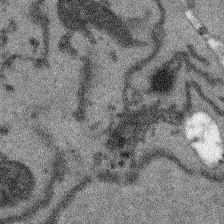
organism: Arabidopsis thaliana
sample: Root tip